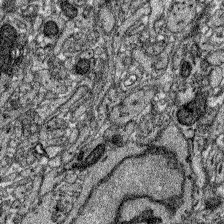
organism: Zebrafish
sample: Larval olfactory bulb